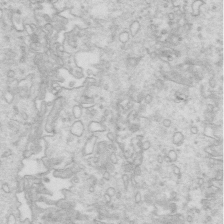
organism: Mouse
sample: Multiciliated cells